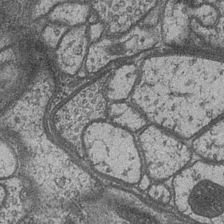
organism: Drosophila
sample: Optic medulla